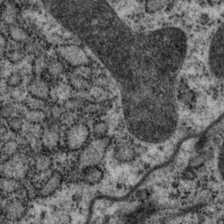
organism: P. pacificus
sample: Pharynx